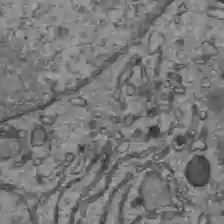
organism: C57BL Mouse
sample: Liver